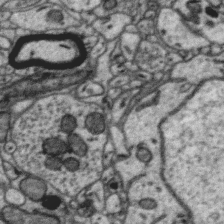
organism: Zebra finch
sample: Brain